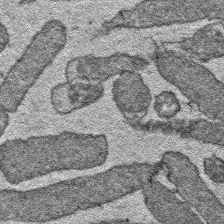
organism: E. coli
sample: E. Coli Bacteria